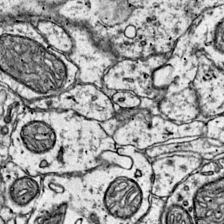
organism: Mouse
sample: Primary visual cortex